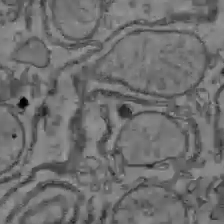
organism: C57BL Mouse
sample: Liver